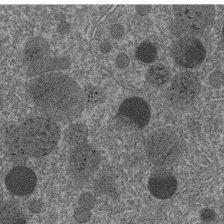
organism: C. elegans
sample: C. elegans embryo early stage